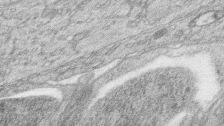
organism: Zebrafish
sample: synaptic ribbons in rod cells and cone cells